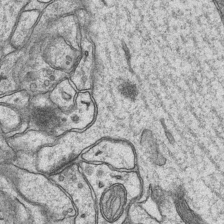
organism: Mouse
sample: CA1 Hippocampus